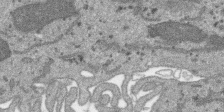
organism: Human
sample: Lung epithelial cells infected with SARS-CoV-2